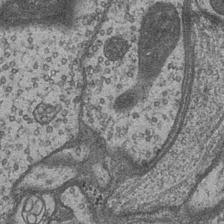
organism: Drosophila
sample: Optic medulla